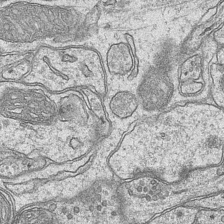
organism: Mouse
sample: CA1 Hippocampus